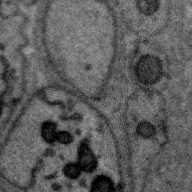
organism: Zebra finch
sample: Brain